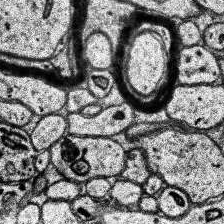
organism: Human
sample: Temporal Lobe